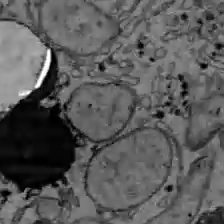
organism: C57BL Mouse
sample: Liver